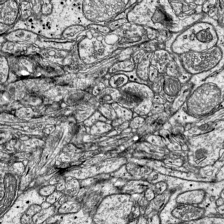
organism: Mouse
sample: Visual Cortex